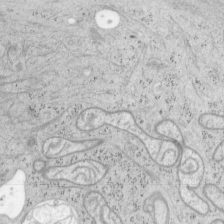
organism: Mouse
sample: OT-I killer T cells with ID8 ovarian cancer cells